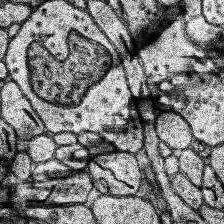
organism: Human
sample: Temporal Lobe